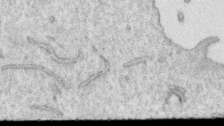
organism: Human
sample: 1205lu cells